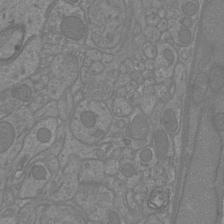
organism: Mouse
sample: Cortical neurons